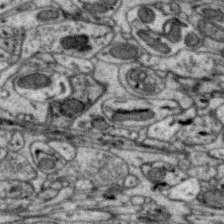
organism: Zebra finch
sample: Brain